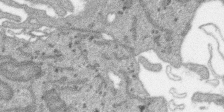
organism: Human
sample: Lung epithelial cells infected with SARS-CoV-2